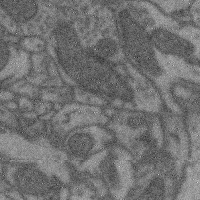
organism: Mouse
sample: Cerebral cortex